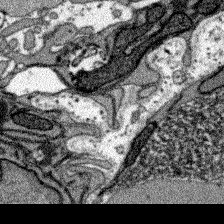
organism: Zebrafish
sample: Larval olfactory bulb